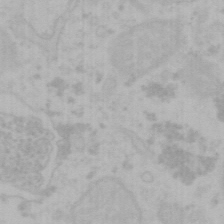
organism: Mouse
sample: Choroid plexus